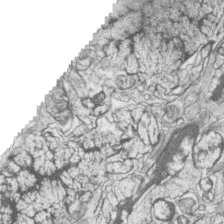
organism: Zebrafish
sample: synaptic ribbons in rod cells and cone cells